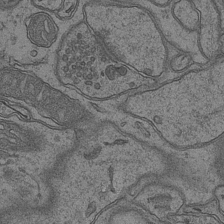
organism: Mouse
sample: CA1 Hippocampus